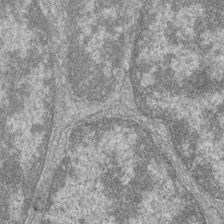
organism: Zebrafish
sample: Cilia; retinal pigment epithelium